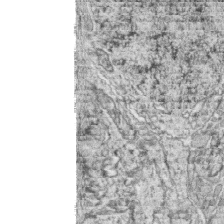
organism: Zebrafish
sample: synaptic ribbons in rod cells and cone cells